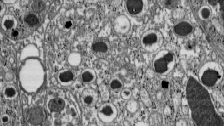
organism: C57BL Mouse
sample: Pancreatic islet